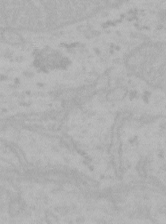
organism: Mouse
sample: Choroid plexus